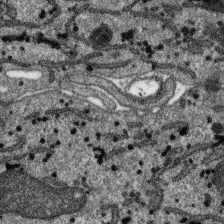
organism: Human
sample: Lung epithelial cells infected with SARS-CoV-2